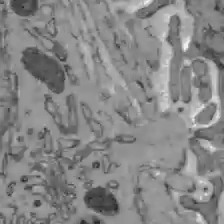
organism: C57BL Mouse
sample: Liver